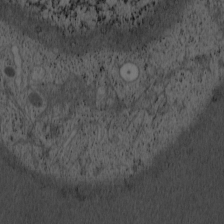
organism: African green monkey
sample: COS-7 cells